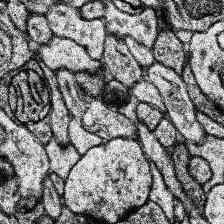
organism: Human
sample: Temporal Lobe